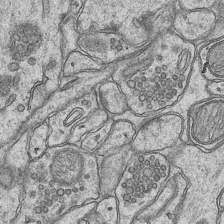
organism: Mouse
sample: CA1 Hippocampus